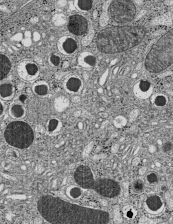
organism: C57BL Mouse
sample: Pancreatic islet